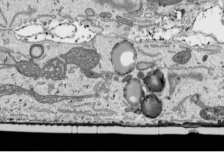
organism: Human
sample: Mitochondria in HCT116 cells